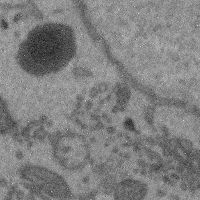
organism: Mouse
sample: Cerebral cortex